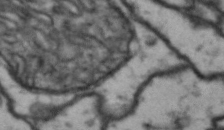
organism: Drosophila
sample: Brain